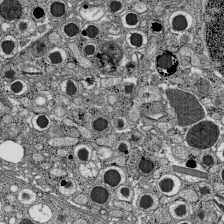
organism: C57BL Mouse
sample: Pancreatic islet